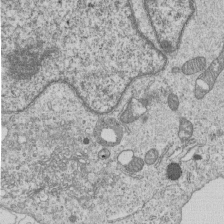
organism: Human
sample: MDA-MB-231 cells